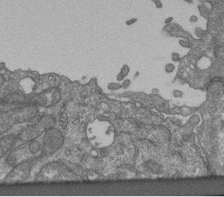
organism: Human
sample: Retinal organoid Rod and Cone cells